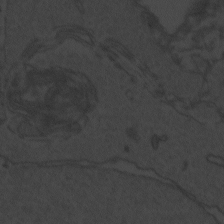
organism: Zebrafish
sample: Macrophage infected with Toxoplasma gondii